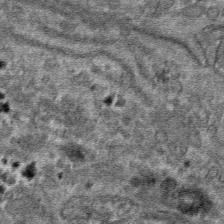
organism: Mouse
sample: Mouse hepatocytes